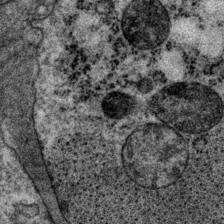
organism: P. pacificus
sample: Pharynx